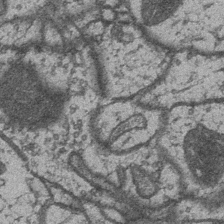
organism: Drosophila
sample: Optic medulla